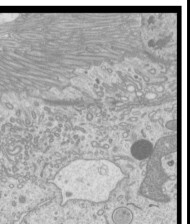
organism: Mouse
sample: Cilia; mouse epididymis